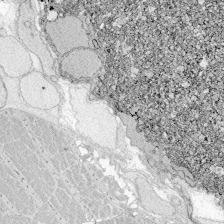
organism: Zebrafish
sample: Whole-Brain